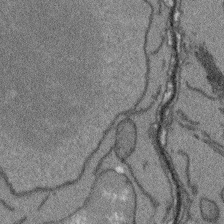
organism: Arabidopsis thaliana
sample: Root tip